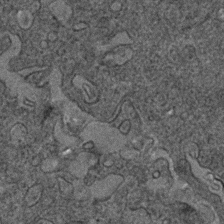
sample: Trachea